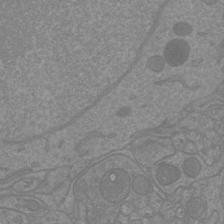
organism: Mouse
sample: Cortical neurons